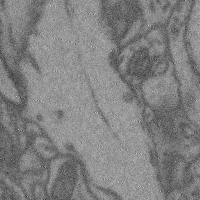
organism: Mouse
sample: Cerebral cortex